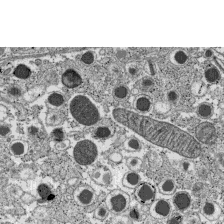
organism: C57BL Mouse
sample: Pancreatic islet